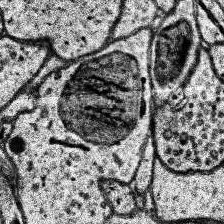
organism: Human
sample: Temporal Lobe